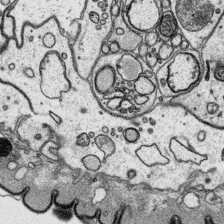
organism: Platynereis dumerilii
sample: Parapodia